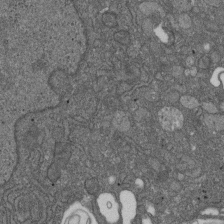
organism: Drosophila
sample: Nephrocyte